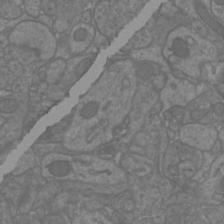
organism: Mouse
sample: Cortical neurons